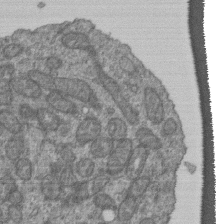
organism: Human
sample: Retinal organoid Rod and Cone cells